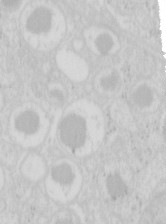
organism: Mouse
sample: Pancreas